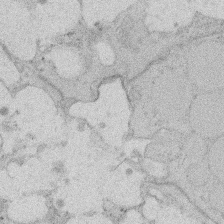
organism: Rat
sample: Salivary granule